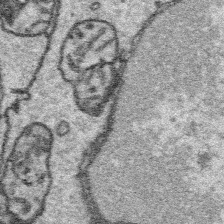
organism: Platynereis dumerilii